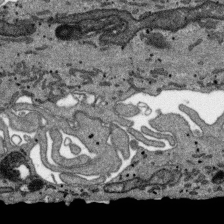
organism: Human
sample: Lung epithelial cells, uninfected (mock) control